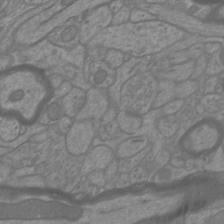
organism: Mouse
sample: Cortical neurons